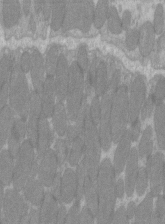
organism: C57BL Mouse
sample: Tibialis anterior muscle cell